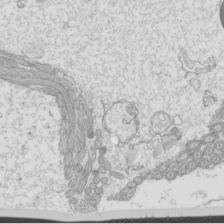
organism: Mouse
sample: Cilia; mouse epididymis